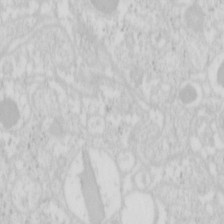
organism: Mouse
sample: Pancreas